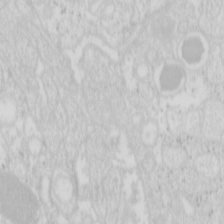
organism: Mouse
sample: Pancreas